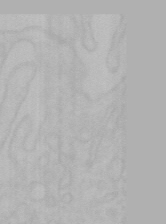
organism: Mouse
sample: Choroid plexus